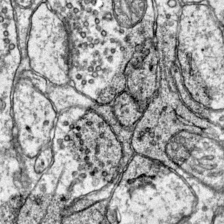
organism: Mouse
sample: Primary visual cortex